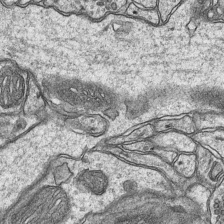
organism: Mouse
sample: CA1 Hippocampus